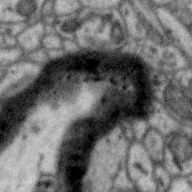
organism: Zebra finch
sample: Brain